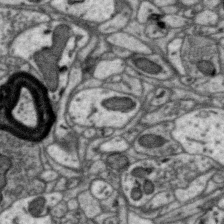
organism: Zebra finch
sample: Brain